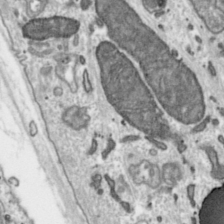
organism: Toxoplasma gondii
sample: Parasites in a vacuole inside a host cell